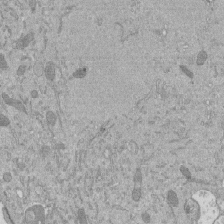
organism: Mouse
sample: ED-1 cell nuclei; centrioles